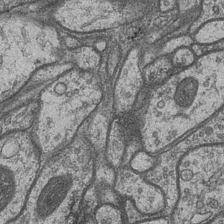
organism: Drosophila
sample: Optic medulla